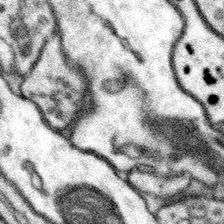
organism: Mouse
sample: Somatosensory cortex neuropil